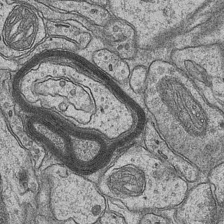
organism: Mouse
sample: CA1 Hippocampus